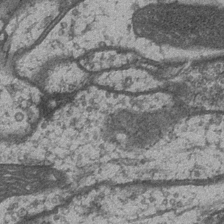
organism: Drosophila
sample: Optic medulla